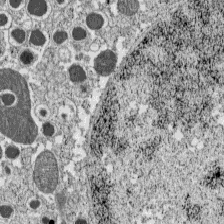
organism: C57BL Mouse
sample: Pancreatic islet